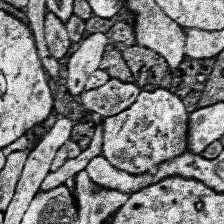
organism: Human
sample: Temporal Lobe